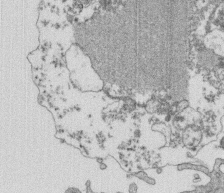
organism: Human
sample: HeLa cell HIV synapse